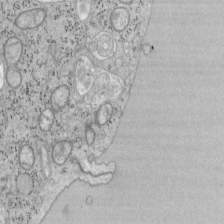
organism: Mouse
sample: OT-I killer T cells with ID8 ovarian cancer cells